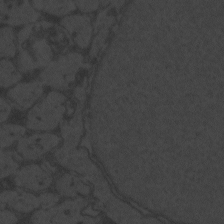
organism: Zebrafish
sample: Macrophage infected with Toxoplasma gondii